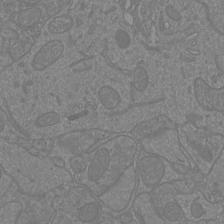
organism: Mouse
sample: Cortical neurons